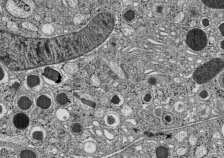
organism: C57BL Mouse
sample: Pancreatic islet